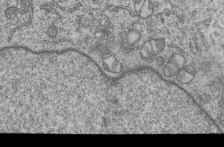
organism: Human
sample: MDA-MB-231 cells